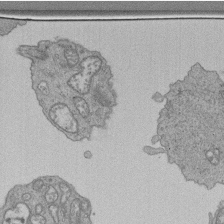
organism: Human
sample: Retinal organoid Rod and Cone cells